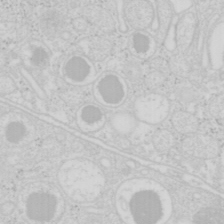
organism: Mouse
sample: Pancreas